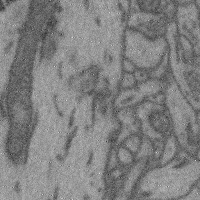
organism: Mouse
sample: Cerebral cortex